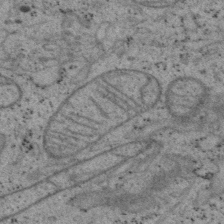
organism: Human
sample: HeLa cells